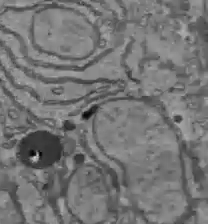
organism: C57BL Mouse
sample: Liver